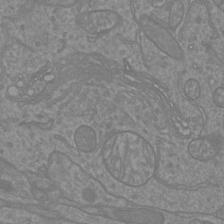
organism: Mouse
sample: Cortical neurons